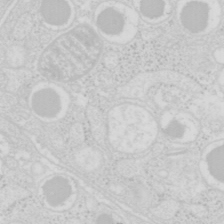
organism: Mouse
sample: Pancreas